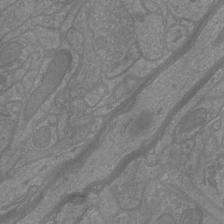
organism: Mouse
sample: Cortical neurons